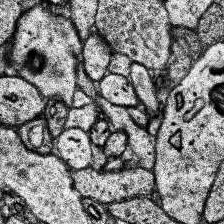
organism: Human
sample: Temporal Lobe